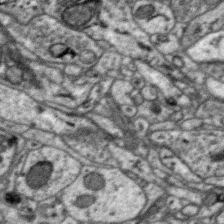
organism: Zebra finch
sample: Brain